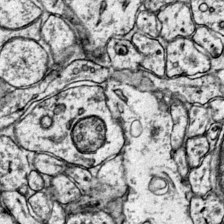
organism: Mouse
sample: Primary visual cortex